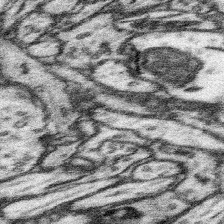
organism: Mouse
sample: Somatosensory cortex neuropil